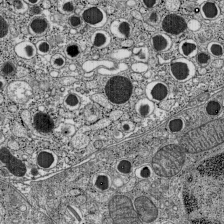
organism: C57BL Mouse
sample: Pancreatic islet